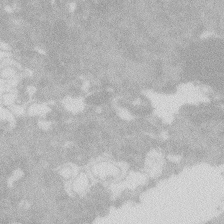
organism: Zebrafish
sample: Macrophage